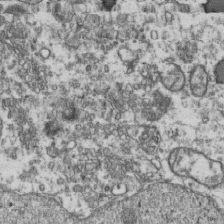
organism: Human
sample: Activated Jurkat CD4+ T cells